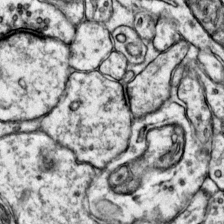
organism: Mouse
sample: Primary visual cortex